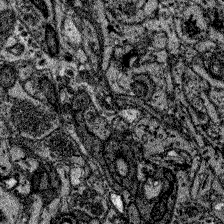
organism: Zebrafish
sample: Larval olfactory bulb